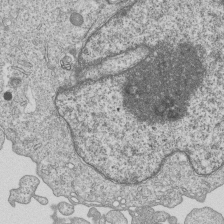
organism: Human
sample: MDA-MB-231 cells